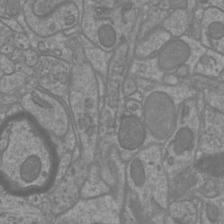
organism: Mouse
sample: Cortical neurons